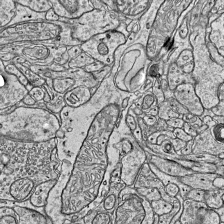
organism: Mouse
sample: Visual Cortex